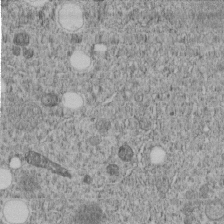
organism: C. elegans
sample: C. elegans embryo early stage